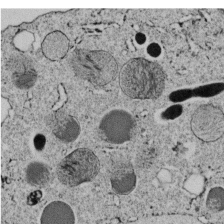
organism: C. elegans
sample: C. elegans embryo early stage